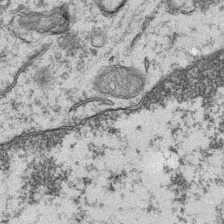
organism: Mouse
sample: CA1 Hippocampus